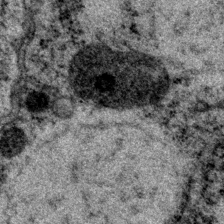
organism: P. pacificus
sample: Pharynx